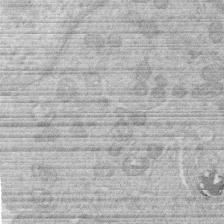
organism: Human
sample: Macrophage cells